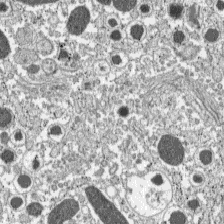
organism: C57BL Mouse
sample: Pancreatic islet